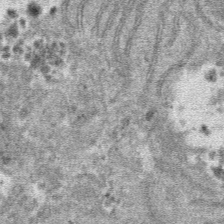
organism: Mouse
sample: Mouse hepatocytes